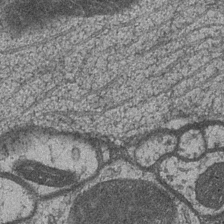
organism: Drosophila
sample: Optic medulla